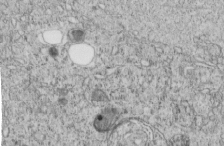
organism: C. elegans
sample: C. elegans embryo early stage